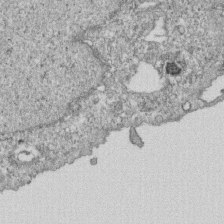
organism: Human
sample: HeLa cell HIV synapse